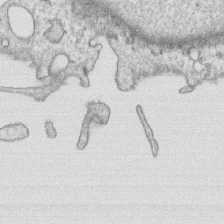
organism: Human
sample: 1205lu cells